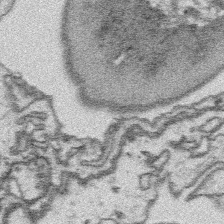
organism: Platynereis dumerilii